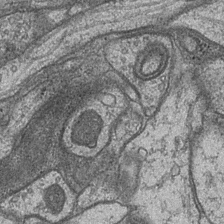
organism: Drosophila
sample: Optic medulla